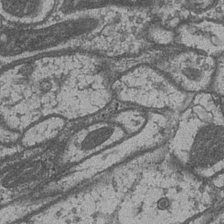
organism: Drosophila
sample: Optic medulla